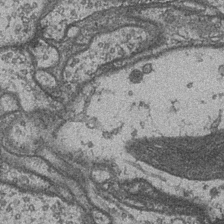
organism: Drosophila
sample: Optic medulla